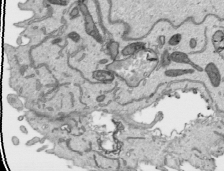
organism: Human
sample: Mitochondria in HCT116 cells